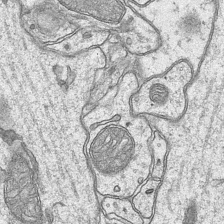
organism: Mouse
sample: CA1 Hippocampus